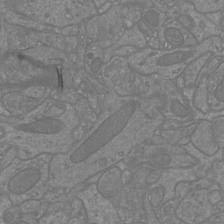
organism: Mouse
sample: Cortical neurons